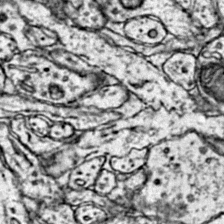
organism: Mouse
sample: Primary visual cortex